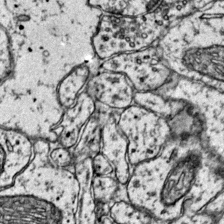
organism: Mouse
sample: Primary visual cortex